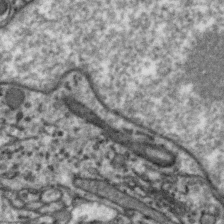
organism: Zebra finch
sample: Brain